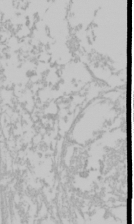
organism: Mouse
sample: Cancer cell death in ED-1 cells